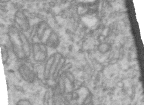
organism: Human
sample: Centriole in RPE cells